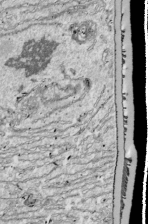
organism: Drosophila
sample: Cell division; meiosis; drosophila spermatocytes